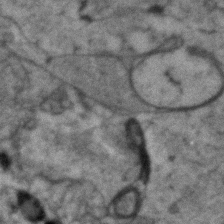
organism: Human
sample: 1205lu cells